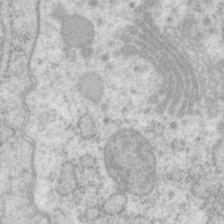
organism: P. pacificus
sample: Pharynx